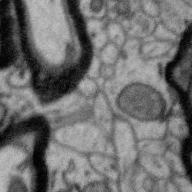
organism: Zebra finch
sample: Brain